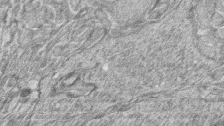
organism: Zebrafish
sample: synaptic ribbons in rod cells and cone cells